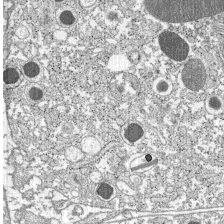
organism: C57BL Mouse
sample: Pancreatic islet